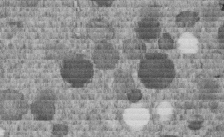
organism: C. elegans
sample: C. elegans embryo early stage